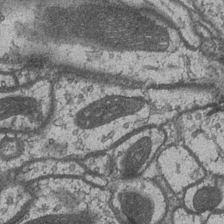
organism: Drosophila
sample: Optic medulla